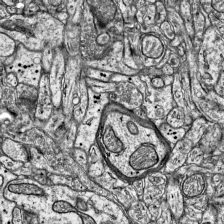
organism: Mouse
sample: Visual Cortex